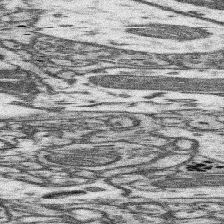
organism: Mouse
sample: Somatosensory cortex neuropil